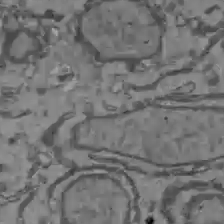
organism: C57BL Mouse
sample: Liver